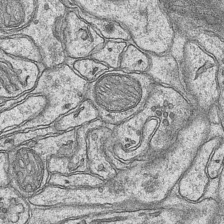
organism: Mouse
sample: CA1 Hippocampus